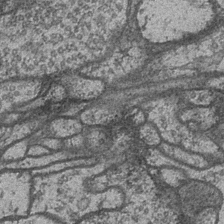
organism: Drosophila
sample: Optic medulla